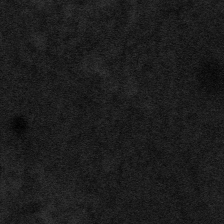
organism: Tuwongella immobilis